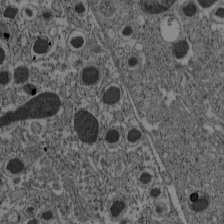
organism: C57BL Mouse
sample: Pancreatic islet